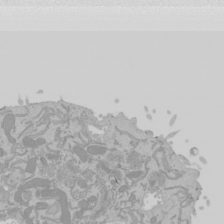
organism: Mouse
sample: Cancer cell death in ED-1 cells